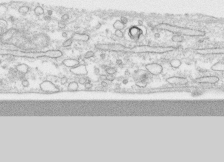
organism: Human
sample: CRL-1474